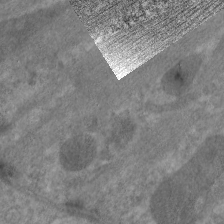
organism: C. elegans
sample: Pharynx